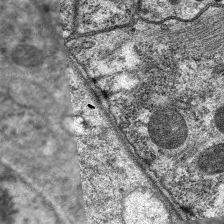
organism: C. elegans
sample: Pharynx